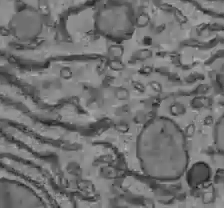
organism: C57BL Mouse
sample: Liver